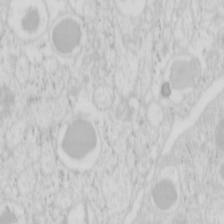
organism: Mouse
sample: Pancreas